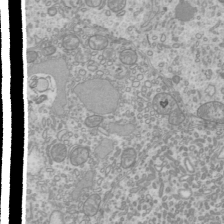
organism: Mouse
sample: Cilia; mouse epididymis